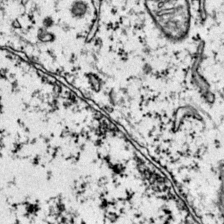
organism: Mouse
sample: Primary visual cortex